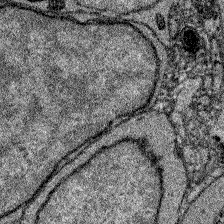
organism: Zebrafish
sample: Larval olfactory bulb